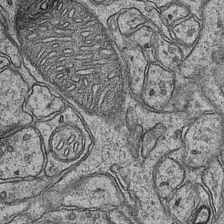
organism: Mouse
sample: CA1 Hippocampus